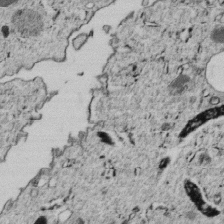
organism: C. elegans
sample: C. elegans embryo early stage